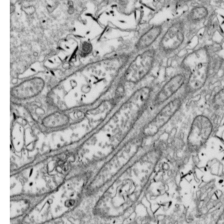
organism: Drosophila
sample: Cell division; meiosis; drosophila spermatocytes